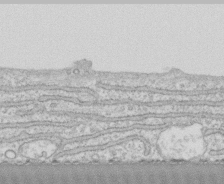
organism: Human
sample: CRL-1474